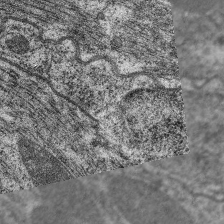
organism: C. elegans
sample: Pharynx